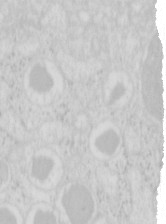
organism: Mouse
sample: Pancreas